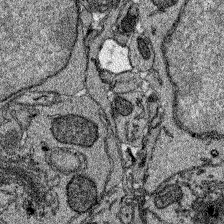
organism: Zebrafish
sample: Larval olfactory bulb